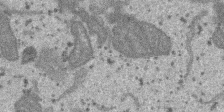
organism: Human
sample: Lung epithelial cells infected with SARS-CoV-2